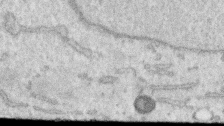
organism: Human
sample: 1205lu cells